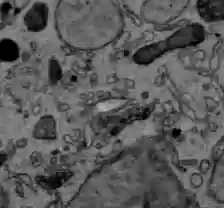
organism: C57BL Mouse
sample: Liver